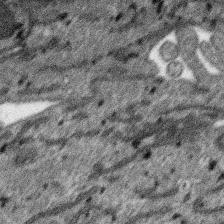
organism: Human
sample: Lung epithelial cells infected with SARS-CoV-2